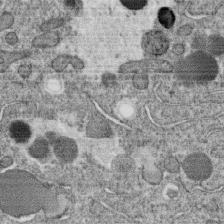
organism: C. elegans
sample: C. elegans oocyte; sperm cells